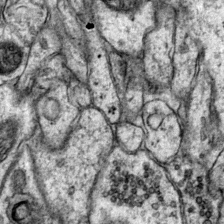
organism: Mouse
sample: Primary visual cortex